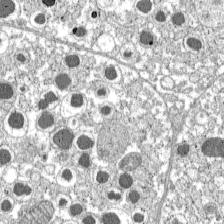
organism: C57BL Mouse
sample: Pancreatic islet